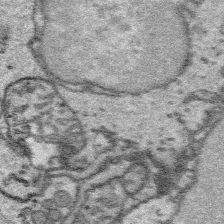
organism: Platynereis dumerilii